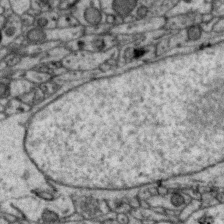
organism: Zebra finch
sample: Brain